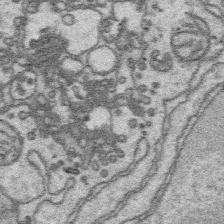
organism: Platynereis dumerilii